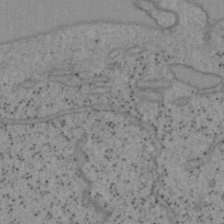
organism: Human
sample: HeLa cells